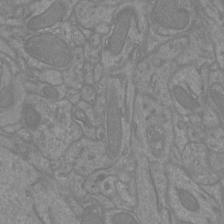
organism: Mouse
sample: Cortical neurons